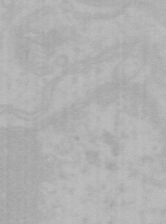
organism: Mouse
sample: Choroid plexus